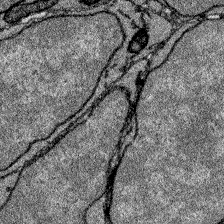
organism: Zebrafish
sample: Larval olfactory bulb